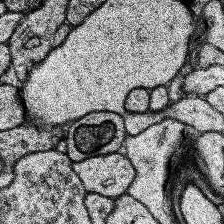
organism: Human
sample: Temporal Lobe